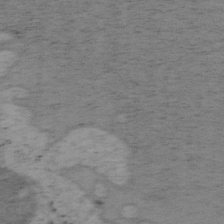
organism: Mouse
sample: OT-I killer T cells with ID8 ovarian cancer cells